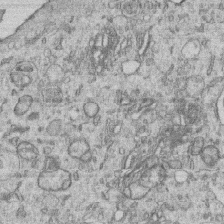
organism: Human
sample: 1205lu cells